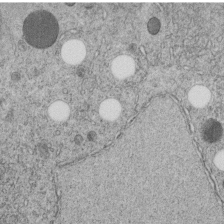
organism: C. elegans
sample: C. elegans embryo early stage